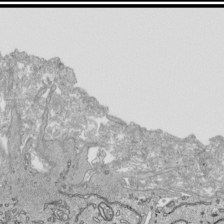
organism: Human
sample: Mitochondria in HCT116 cells